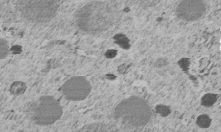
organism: C. elegans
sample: C. elegans embryo early stage